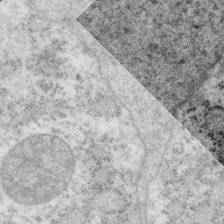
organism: P. pacificus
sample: Pharynx